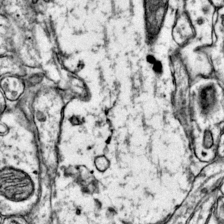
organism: Mouse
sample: Primary visual cortex